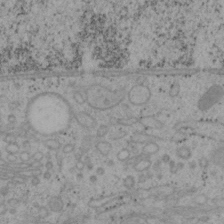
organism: Human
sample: HeLa cells